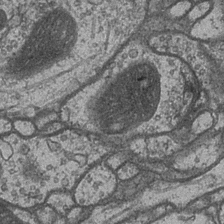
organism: Drosophila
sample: Optic medulla